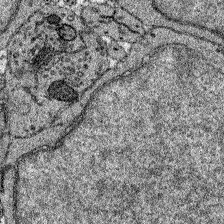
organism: Zebrafish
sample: Larval olfactory bulb